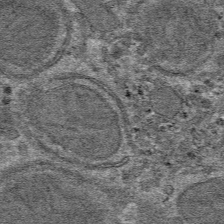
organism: Mouse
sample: Mouse hepatocytes